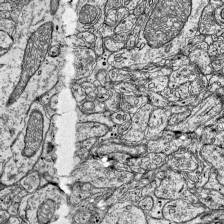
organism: Mouse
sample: Visual Cortex